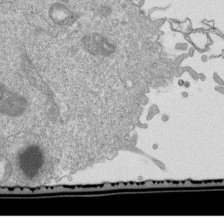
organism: Human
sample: HeLa cell HIV synapse